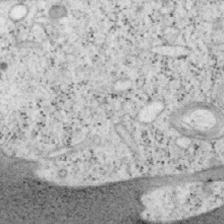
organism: Mouse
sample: OT-I killer T cells with ID8 ovarian cancer cells